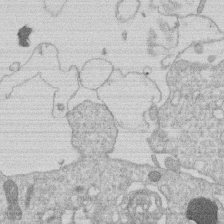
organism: Human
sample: Macrophage cells